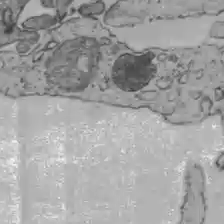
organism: C57BL Mouse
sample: Liver